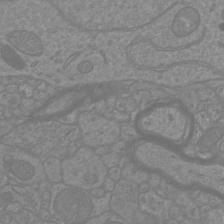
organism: Mouse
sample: Cortical neurons